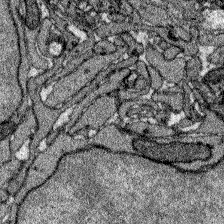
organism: Zebrafish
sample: Larval olfactory bulb